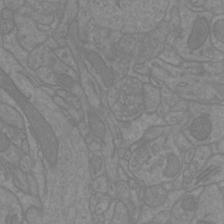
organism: Mouse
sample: Cortical neurons